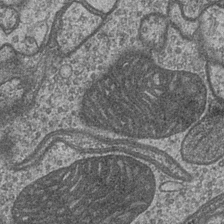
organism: Drosophila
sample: Optic medulla